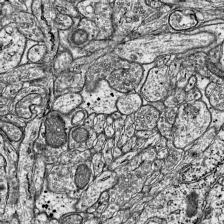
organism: Mouse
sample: Visual Cortex